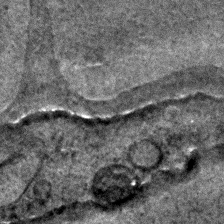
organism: C. elegans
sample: C. elegans embryo